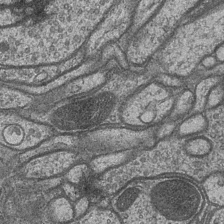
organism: Drosophila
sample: Optic medulla